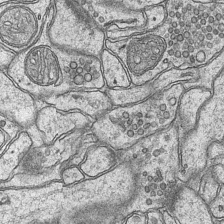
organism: Mouse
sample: CA1 Hippocampus